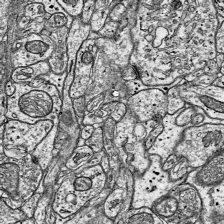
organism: Mouse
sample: Visual Cortex